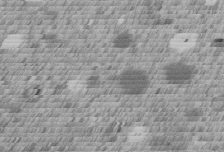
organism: C. elegans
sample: C. elegans embryo early stage